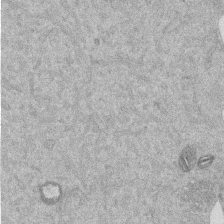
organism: Mouse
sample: Dividing mouse embryo 1 cell stage